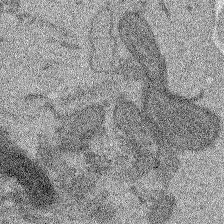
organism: Human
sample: HeLa cells